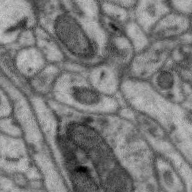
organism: Zebra finch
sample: Brain